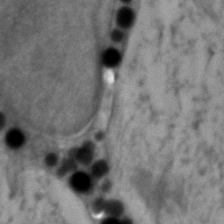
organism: Zebrafish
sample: Zebrafish embryo